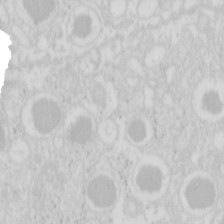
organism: Mouse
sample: Pancreas